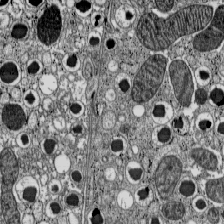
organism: C57BL Mouse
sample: Pancreatic islet